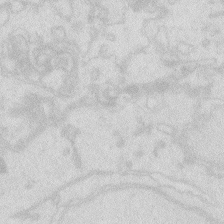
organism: Zebrafish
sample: Macrophage